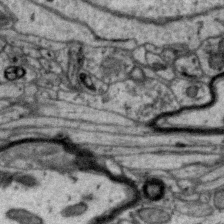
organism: Zebra finch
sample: Brain